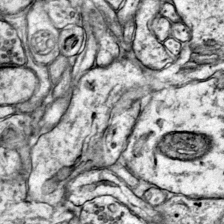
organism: Mouse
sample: Primary visual cortex